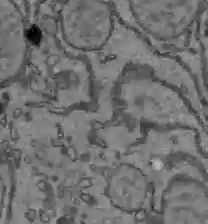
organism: C57BL Mouse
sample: Liver